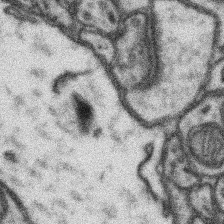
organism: Mouse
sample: Somatosensory cortex neuropil